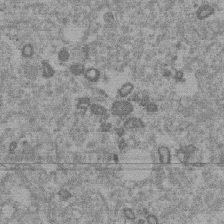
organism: Mouse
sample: Dividing mouse embryo 1 cell stage